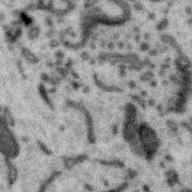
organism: Zebra finch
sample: Brain